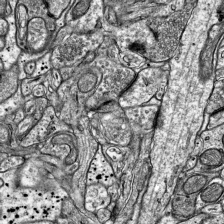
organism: Mouse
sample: Visual Cortex